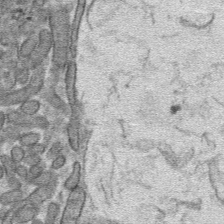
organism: Mouse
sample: Mouse hepatocytes